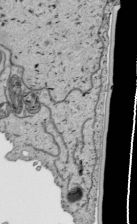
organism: Human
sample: Mitochondria in HCT116 cells